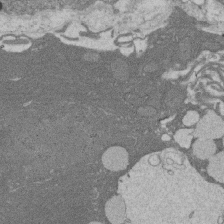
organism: Rat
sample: Salivary granule